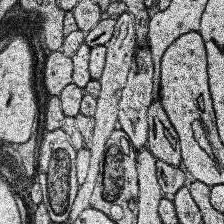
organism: Human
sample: Temporal Lobe